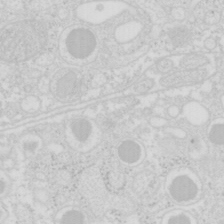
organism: Mouse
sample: Pancreas